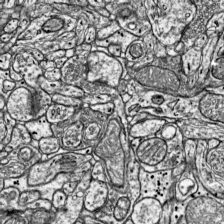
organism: Mouse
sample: Visual Cortex